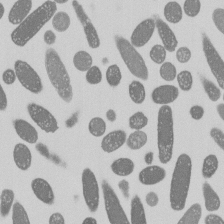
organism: E. coli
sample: Bacterial nucleoid